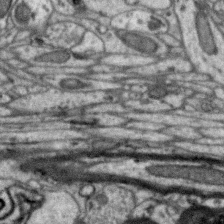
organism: Zebra finch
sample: Brain